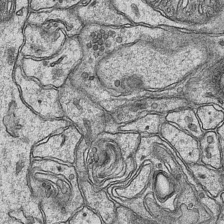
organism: Mouse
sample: CA1 Hippocampus